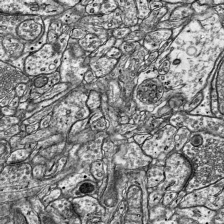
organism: Mouse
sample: Visual Cortex